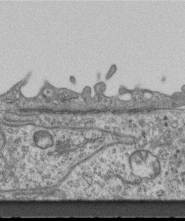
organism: Mouse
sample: Centriole in ependymal cells